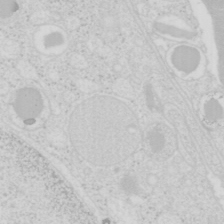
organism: Mouse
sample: Pancreas